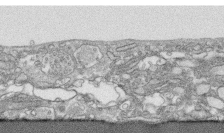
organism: Human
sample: CRL-1474